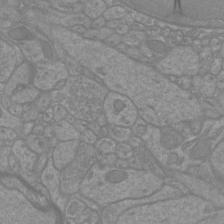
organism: Mouse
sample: Cortical neurons